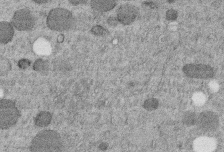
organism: C. elegans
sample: C. elegans embryo early stage